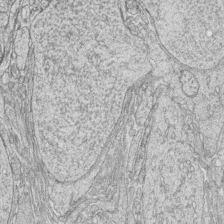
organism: Zebrafish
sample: synaptic ribbons in rod cells and cone cells